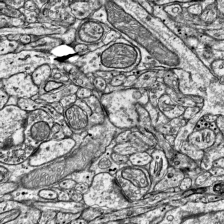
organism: Mouse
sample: Visual Cortex